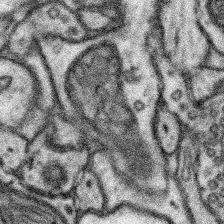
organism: Mouse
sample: Somatosensory cortex neuropil